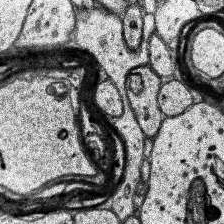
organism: Human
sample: Temporal Lobe